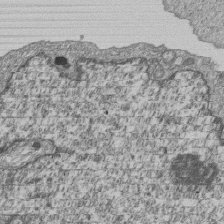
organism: Human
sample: MDA-MB-231 cells